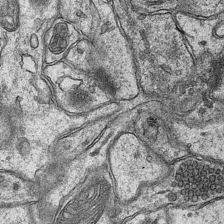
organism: Mouse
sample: CA1 Hippocampus